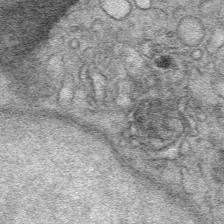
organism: Mouse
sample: Mouse Salivary gland